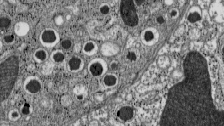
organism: C57BL Mouse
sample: Pancreatic islet